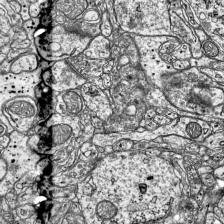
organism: Mouse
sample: Visual Cortex